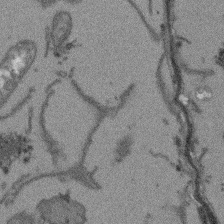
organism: Arabidopsis thaliana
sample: Root tip